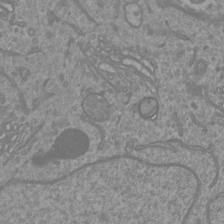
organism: Mouse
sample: Cortical neurons